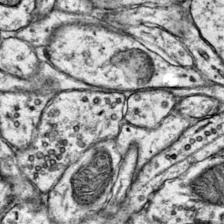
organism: Mouse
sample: Primary visual cortex